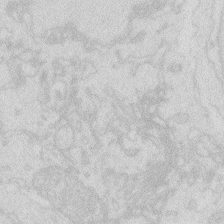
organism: Zebrafish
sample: Macrophage